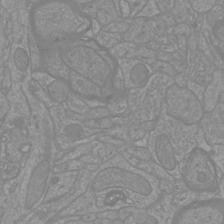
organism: Mouse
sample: Cortical neurons